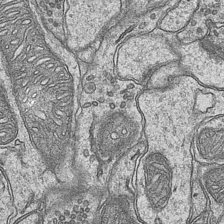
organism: Mouse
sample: CA1 Hippocampus